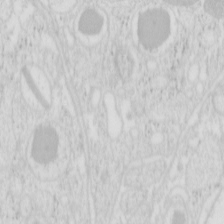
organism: Mouse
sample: Pancreas